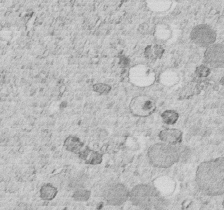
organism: C. elegans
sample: C. elegans embryo early stage